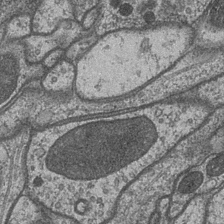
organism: Drosophila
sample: Optic medulla